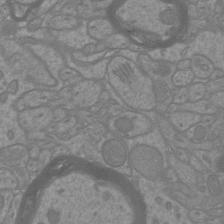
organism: Mouse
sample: Cortical neurons